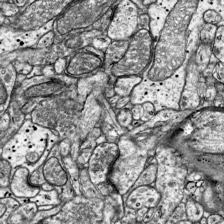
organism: Mouse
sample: Visual Cortex